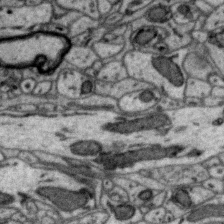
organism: Zebra finch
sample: Brain